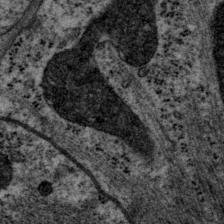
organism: P. pacificus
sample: Pharynx